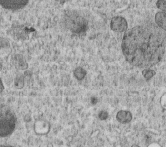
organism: C. elegans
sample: C. elegans embryo early stage